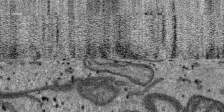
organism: Human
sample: Lung epithelial cells, uninfected (mock) control